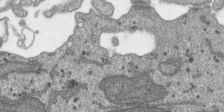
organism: Human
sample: Lung epithelial cells infected with SARS-CoV-2